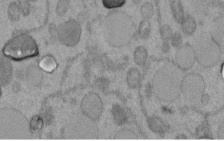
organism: C. elegans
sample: C. elegans embryo early stage